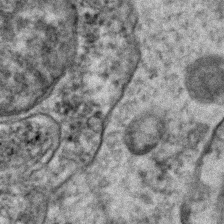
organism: Human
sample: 1205lu cells